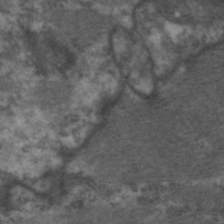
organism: C. elegans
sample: Pharynx